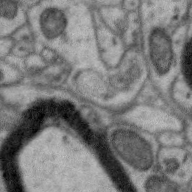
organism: Zebra finch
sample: Brain